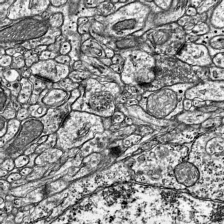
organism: Mouse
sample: Visual Cortex